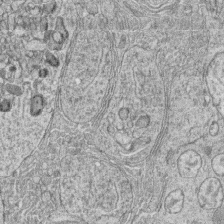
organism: Zebrafish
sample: synaptic ribbons in rod cells and cone cells